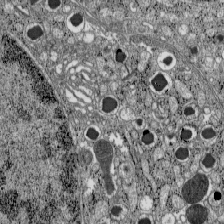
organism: C57BL Mouse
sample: Pancreatic islet